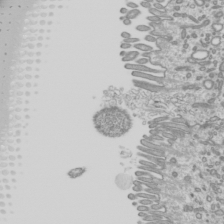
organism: Mouse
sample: Cilia; mouse epididymis